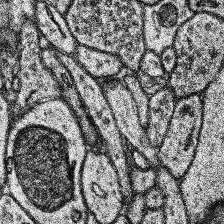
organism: Human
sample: Temporal Lobe